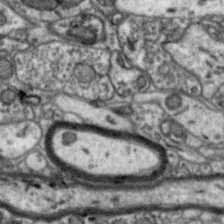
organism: Zebra finch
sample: Brain